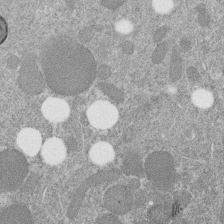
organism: C. elegans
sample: C. elegans embryo early stage